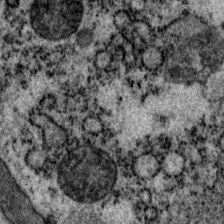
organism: P. pacificus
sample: Pharynx